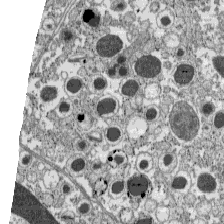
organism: C57BL Mouse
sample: Pancreatic islet